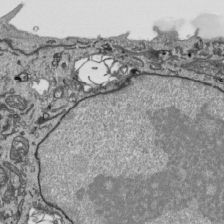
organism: Human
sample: Mitochondria in HCT116 cells